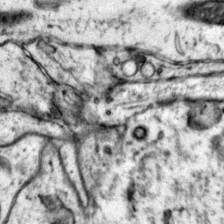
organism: Mouse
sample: Primary visual cortex